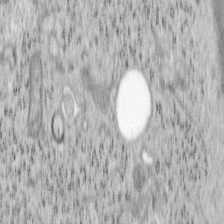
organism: Human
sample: HeLa cells